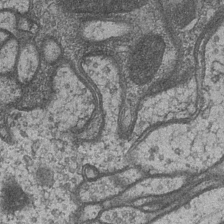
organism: Drosophila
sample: Optic medulla